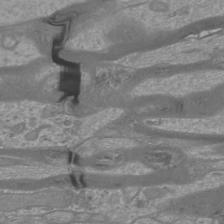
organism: Mouse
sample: Cortical neurons